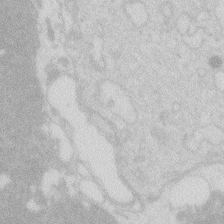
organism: Zebrafish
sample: Macrophage